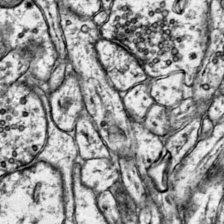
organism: Mouse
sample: Primary visual cortex